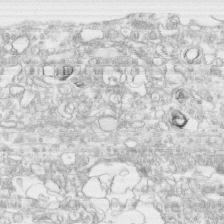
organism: Human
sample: CRL-1474